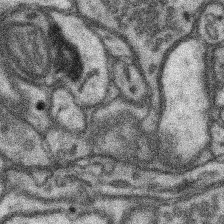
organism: Mouse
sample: Somatosensory cortex neuropil